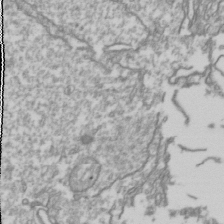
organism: Drosophila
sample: Cell division; meiosis; drosophila spermatocytes